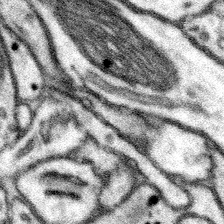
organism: Mouse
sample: Somatosensory cortex neuropil